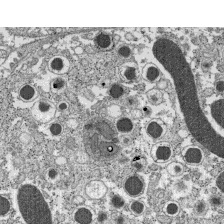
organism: C57BL Mouse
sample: Pancreatic islet